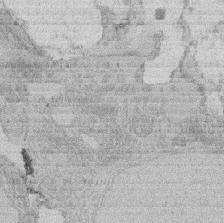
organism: Rat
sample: Salivary granule